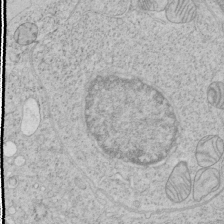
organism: Human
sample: Mitochondria in HCT116 cells